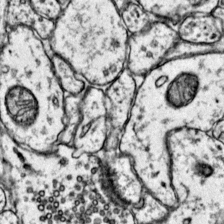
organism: Mouse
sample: Primary visual cortex